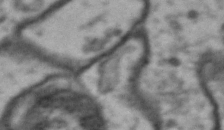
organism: Drosophila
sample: Brain